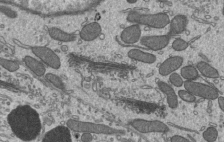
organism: Mouse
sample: Mouse epididymis efferent ductule cilia